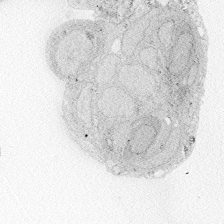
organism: Zebrafish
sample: Whole-Brain